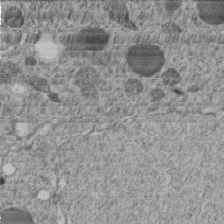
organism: C. elegans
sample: C. elegans embryo early stage